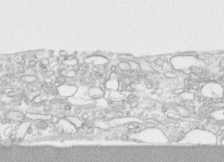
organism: Human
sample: CRL-1474